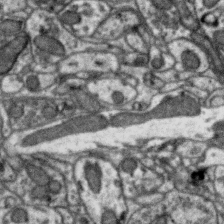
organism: Zebra finch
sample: Brain